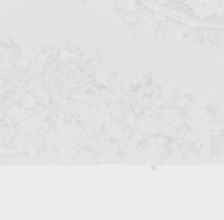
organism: Human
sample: T Cells (Jurkat E6.1)